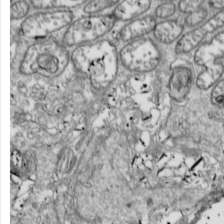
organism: Drosophila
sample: Cell division; meiosis; drosophila spermatocytes